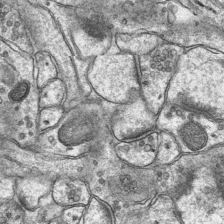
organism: Mouse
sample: CA1 Hippocampus